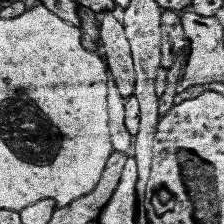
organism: Human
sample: Temporal Lobe